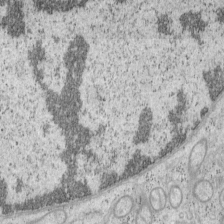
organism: Mouse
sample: OT-I killer T cells with ID8 ovarian cancer cells